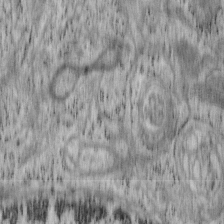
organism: Human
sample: HeLa cells